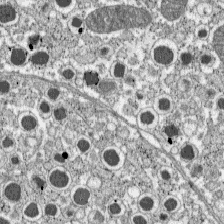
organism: C57BL Mouse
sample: Pancreatic islet